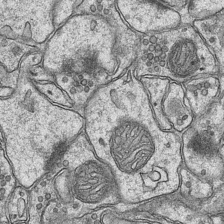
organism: Mouse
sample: CA1 Hippocampus